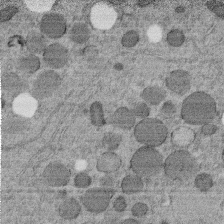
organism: C. elegans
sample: C. elegans embryo early stage